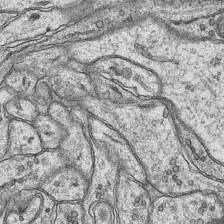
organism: Mouse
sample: CA1 Hippocampus